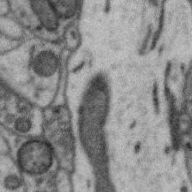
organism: Zebra finch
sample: Brain